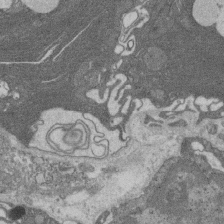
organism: Rat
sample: Salivary granule